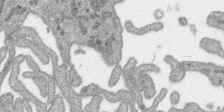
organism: Human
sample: Lung epithelial cells infected with SARS-CoV-2